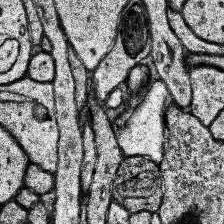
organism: Human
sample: Temporal Lobe